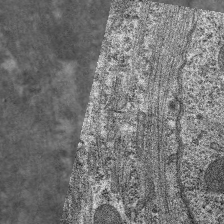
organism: C. elegans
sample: Pharynx